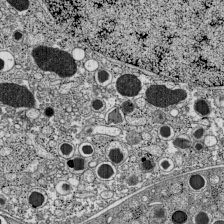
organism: C57BL Mouse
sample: Pancreatic islet